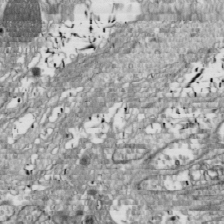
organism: Drosophila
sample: Cell division; meiosis; drosophila spermatocytes